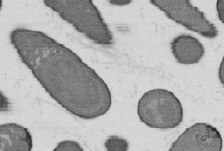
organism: B. subtilis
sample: Bacterial spore